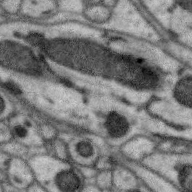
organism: Zebra finch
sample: Brain